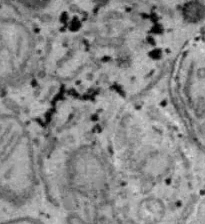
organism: Mouse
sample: Liver from an obese (ob/ob) mouse